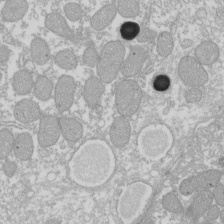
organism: Xenopus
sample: Cilia; centrioles in frog embryo cells